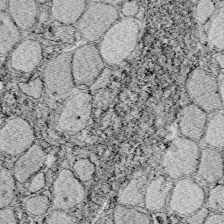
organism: Zebrafish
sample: Whole-Brain